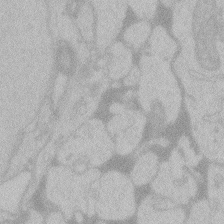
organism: Zebrafish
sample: Macrophage infected with Toxoplasma gondii